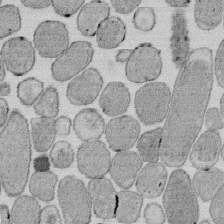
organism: E. coli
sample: Bacterial nucleoid